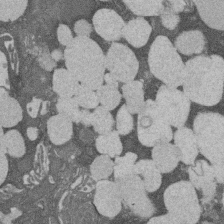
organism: Rat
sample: Salivary granule